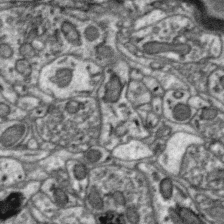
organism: Zebra finch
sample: Brain